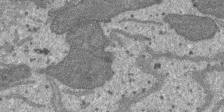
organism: Human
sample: Lung epithelial cells infected with SARS-CoV-2